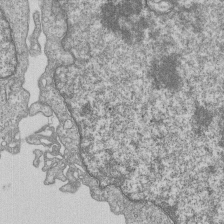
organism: Human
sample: MDA-MB-231 cells